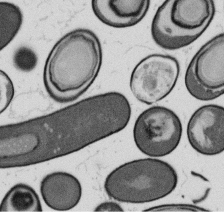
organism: B. subtilis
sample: Bacterial spore